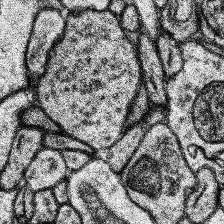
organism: Human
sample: Temporal Lobe